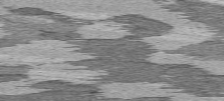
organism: C57BL Mouse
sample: Heart